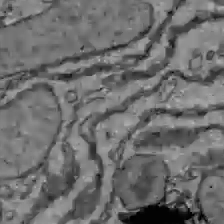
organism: C57BL Mouse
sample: Liver